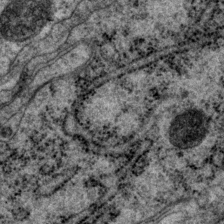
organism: P. pacificus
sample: Pharynx